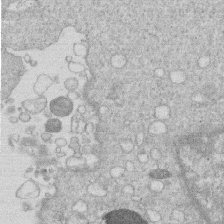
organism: Human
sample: Macrophage cells